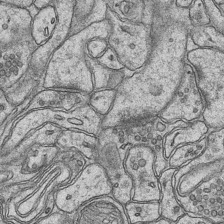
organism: Mouse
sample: CA1 Hippocampus